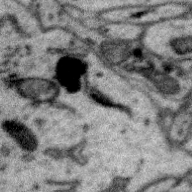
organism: Zebra finch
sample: Brain